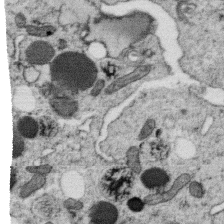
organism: C. elegans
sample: C. elegans oocyte; sperm cells